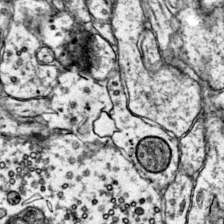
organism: Mouse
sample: Primary visual cortex